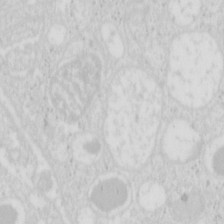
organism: Mouse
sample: Pancreas